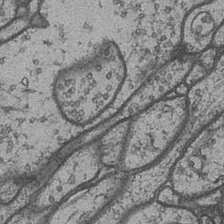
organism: Drosophila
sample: Optic medulla